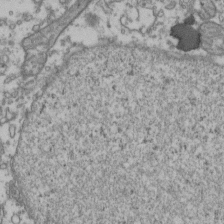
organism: Human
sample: Activated Jurkat CD4+ T cells